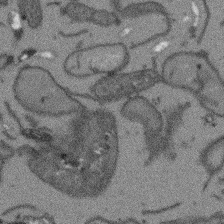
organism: Arabidopsis thaliana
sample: Root tip